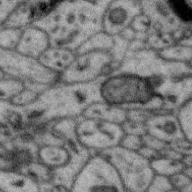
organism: Zebra finch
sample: Brain